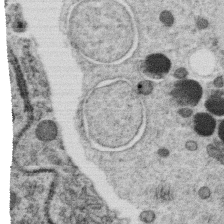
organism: C. elegans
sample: C. elegans oocyte; sperm cells